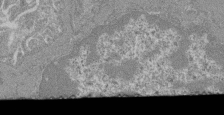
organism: Mouse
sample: Glomerulus